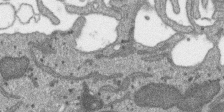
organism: Human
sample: Lung epithelial cells infected with SARS-CoV-2